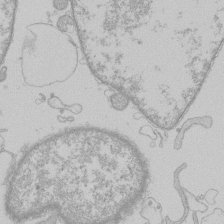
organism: Human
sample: Macrophage cells